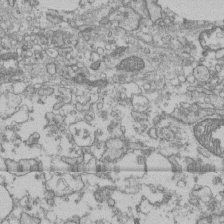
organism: Human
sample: Fibroblast cells